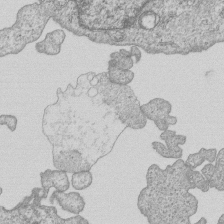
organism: Human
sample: MDA-MB-231 cells